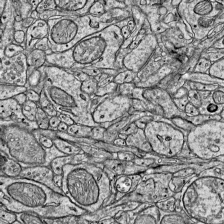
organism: Mouse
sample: Visual Cortex